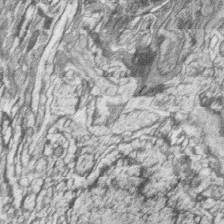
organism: Zebrafish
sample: synaptic ribbons in rod cells and cone cells